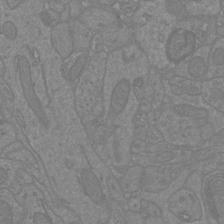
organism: Mouse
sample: Cortical neurons